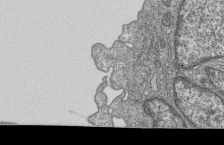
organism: Human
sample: MDA-MB-231 cells